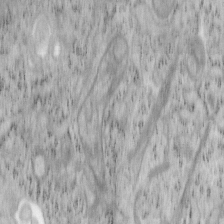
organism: Human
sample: HeLa cells